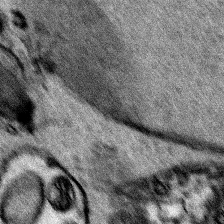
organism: Human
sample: Mitochondria in HCT116 cells